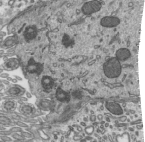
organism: Mouse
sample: Mouse epididymis efferent ductule cilia